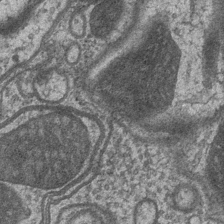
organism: Drosophila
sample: Optic medulla